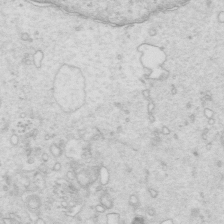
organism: Mouse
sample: Multiciliated cells